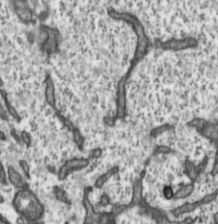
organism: Toxoplasma gondii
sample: Parasites in a vacuole inside a host cell